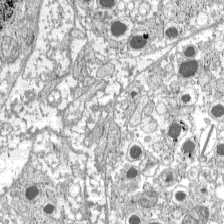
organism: C57BL Mouse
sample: Pancreatic islet